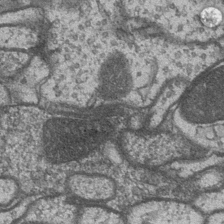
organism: Drosophila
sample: Optic medulla